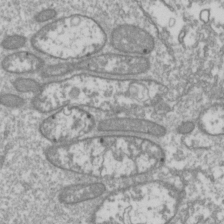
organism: Drosophila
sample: Cell division; meiosis; drosophila spermatocytes